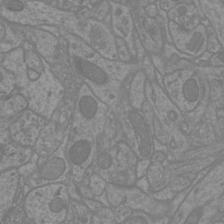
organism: Mouse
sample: Cortical neurons